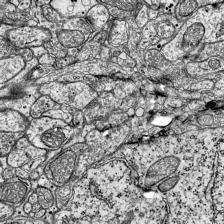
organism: Mouse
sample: Visual Cortex